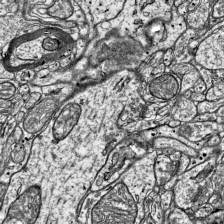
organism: Mouse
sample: Visual Cortex